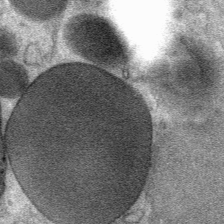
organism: Mouse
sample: Mouse Salivary gland